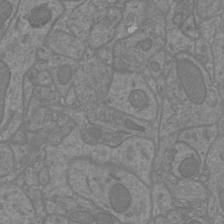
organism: Mouse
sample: Cortical neurons